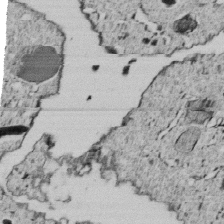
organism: C. elegans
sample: C. elegans embryo early stage